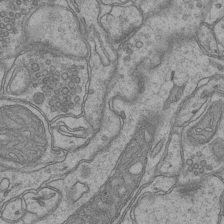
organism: Mouse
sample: CA1 Hippocampus